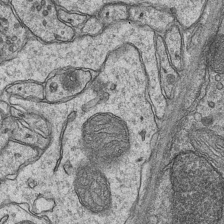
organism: Mouse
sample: CA1 Hippocampus